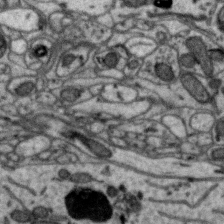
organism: Zebra finch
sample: Brain